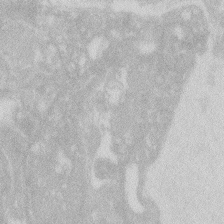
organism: Zebrafish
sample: Macrophage